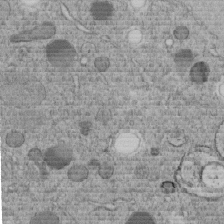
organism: C. elegans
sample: C. elegans embryo early stage